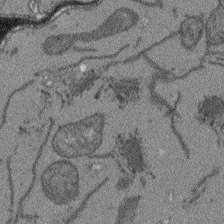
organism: Arabidopsis thaliana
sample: Root tip